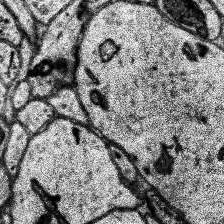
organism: Human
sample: Temporal Lobe